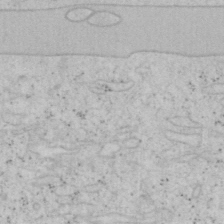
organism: Human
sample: HeLa cells